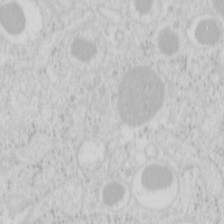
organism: Mouse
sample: Pancreas